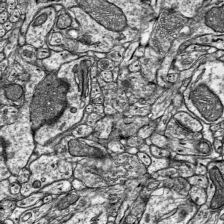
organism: Mouse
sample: Visual Cortex